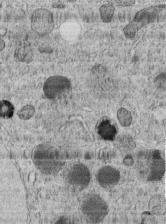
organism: C. elegans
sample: C. elegans embryo early stage